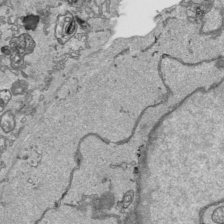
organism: Human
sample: Mitochondria in HCT116 cells